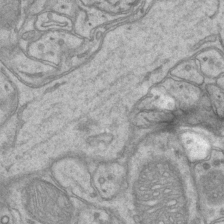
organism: Mouse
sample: CA1 Hippocampus